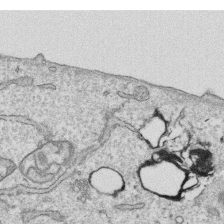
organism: Human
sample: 1205lu cells